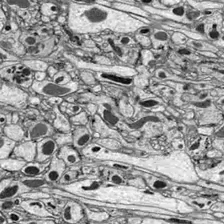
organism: Drosophila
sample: Optic lobe